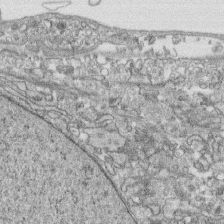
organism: Human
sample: CRL-1474